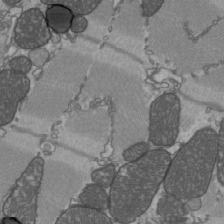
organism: C57BL Mouse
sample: Heart